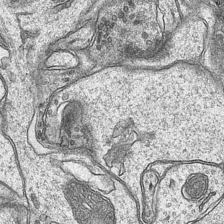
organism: Mouse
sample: CA1 Hippocampus